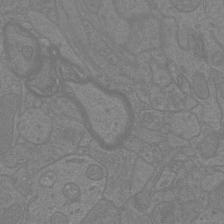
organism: Mouse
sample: Cortical neurons